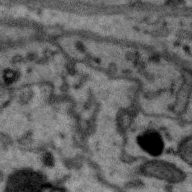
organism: Zebra finch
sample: Brain